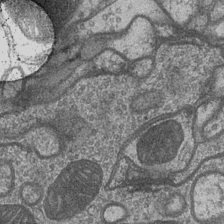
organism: Drosophila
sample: Optic medulla